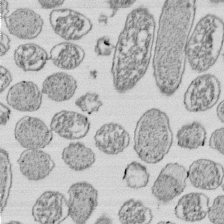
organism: E. coli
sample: Bacterial nucleoid